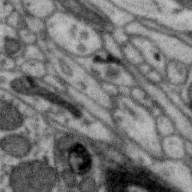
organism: Zebra finch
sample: Brain